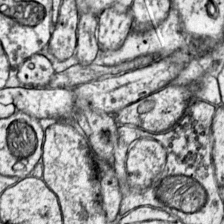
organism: Mouse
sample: Primary visual cortex